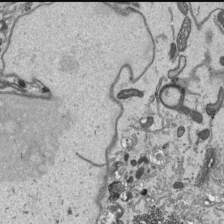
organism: Human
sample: Mitochondria in HCT116 cells